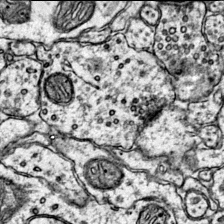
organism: Mouse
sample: Primary visual cortex